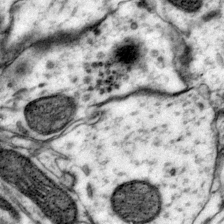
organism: Mouse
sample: Primary visual cortex